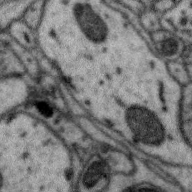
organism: Zebra finch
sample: Brain